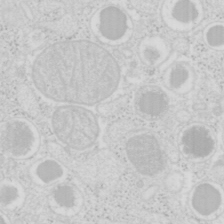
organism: Mouse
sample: Pancreas